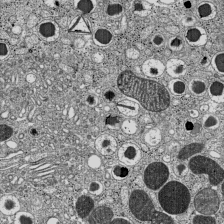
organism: C57BL Mouse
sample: Pancreatic islet